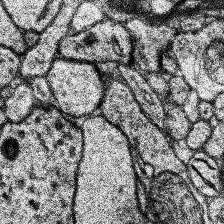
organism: Human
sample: Temporal Lobe